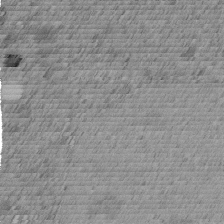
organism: C. elegans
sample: C. elegans embryo early stage